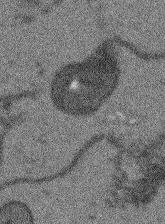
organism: Arabidopsis thaliana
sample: Root tip